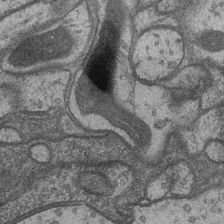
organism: Drosophila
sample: Optic medulla